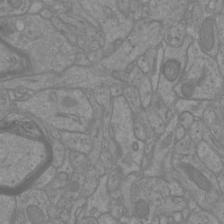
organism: Mouse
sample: Cortical neurons